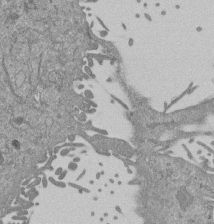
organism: Mouse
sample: ED-1 cell nuclei; centrioles